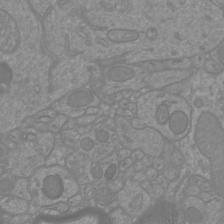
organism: Mouse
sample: Cortical neurons